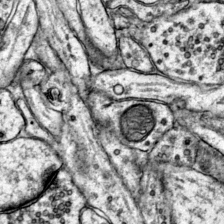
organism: Mouse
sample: Primary visual cortex